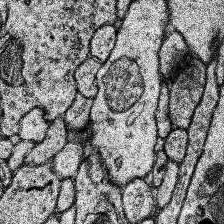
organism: Human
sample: Temporal Lobe